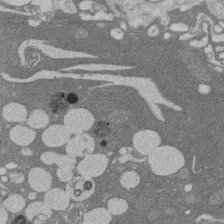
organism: Rat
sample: Salivary granule